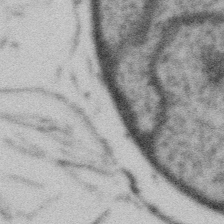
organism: Gemmata obscuriglobus